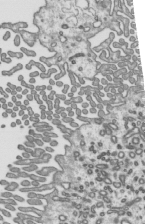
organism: Mouse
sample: Mouse epididymis efferent ductule cilia